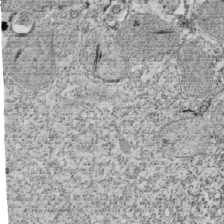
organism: Tetrahymena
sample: Cilia in tetrahymena